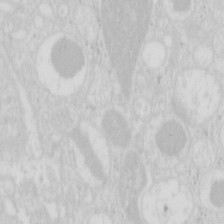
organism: Mouse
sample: Pancreas